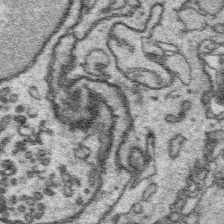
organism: Platynereis dumerilii